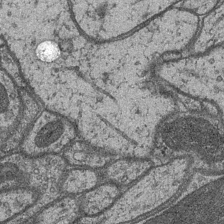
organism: Drosophila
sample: Optic medulla